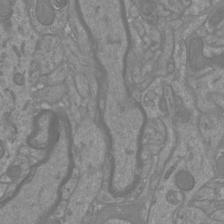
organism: Mouse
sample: Cortical neurons